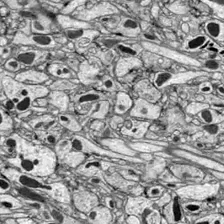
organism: Drosophila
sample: Optic lobe